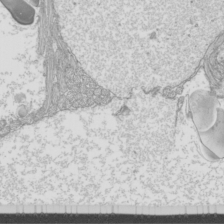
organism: Mouse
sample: Cilia; mouse epididymis